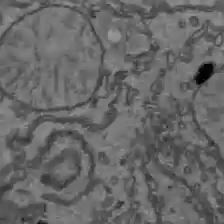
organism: C57BL Mouse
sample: Liver